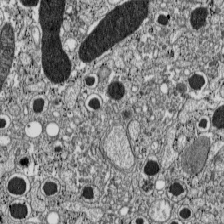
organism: C57BL Mouse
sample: Pancreatic islet